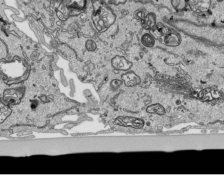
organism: Human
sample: Mitochondria in HCT116 cells